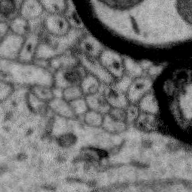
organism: Zebra finch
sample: Brain